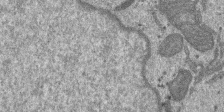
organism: Human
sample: Lung epithelial cells infected with SARS-CoV-2